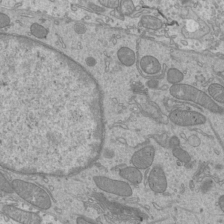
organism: Mouse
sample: Cilia; mouse epididymis